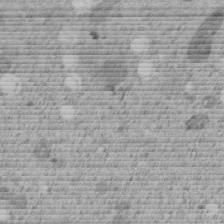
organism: C. elegans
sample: C. elegans embryo early stage